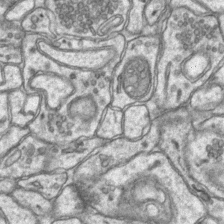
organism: Mouse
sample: CA1 Hippocampus